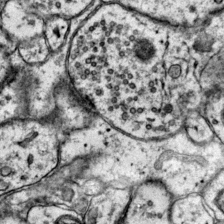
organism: Mouse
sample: Primary visual cortex